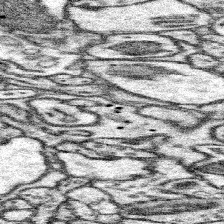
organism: Mouse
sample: Somatosensory cortex neuropil